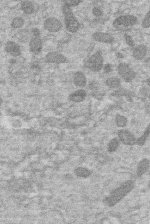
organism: Human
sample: Macrophage cells